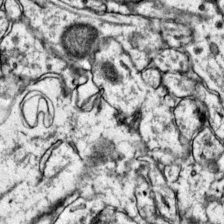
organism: Mouse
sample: Primary visual cortex